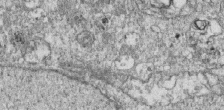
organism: Human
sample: HeLa cell HIV synapse